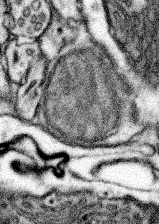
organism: Mouse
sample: Somatosensory cortex neuropil